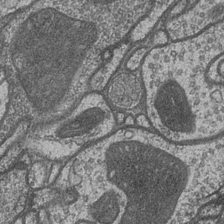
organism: Drosophila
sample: Optic medulla